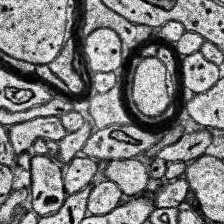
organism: Human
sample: Temporal Lobe